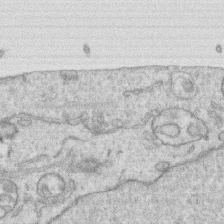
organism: Human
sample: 1205lu cells